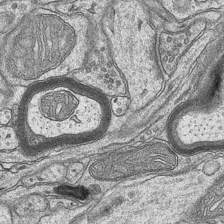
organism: Mouse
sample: CA1 Hippocampus